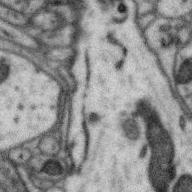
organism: Zebra finch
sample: Brain